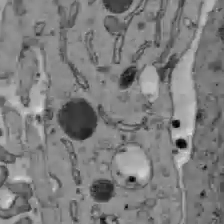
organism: C57BL Mouse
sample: Liver